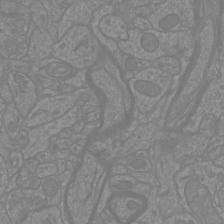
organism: Mouse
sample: Cortical neurons